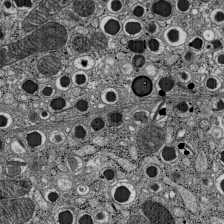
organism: C57BL Mouse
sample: Pancreatic islet